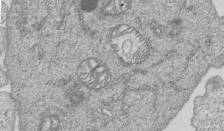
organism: Human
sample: MDA-MB-231 cells